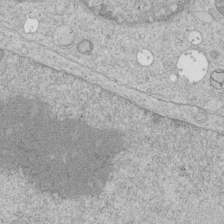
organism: Human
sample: Mitochondria in HCT116 cells